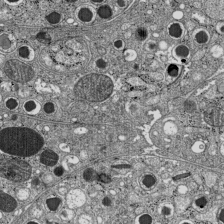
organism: C57BL Mouse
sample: Pancreatic islet